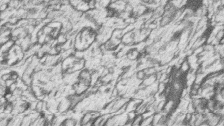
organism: Zebrafish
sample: synaptic ribbons in rod cells and cone cells